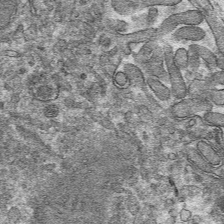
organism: Mouse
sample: Mouse hepatocytes